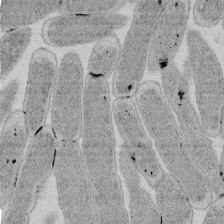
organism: E. coli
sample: Bacterial nucleoid